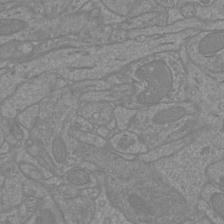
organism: Mouse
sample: Cortical neurons